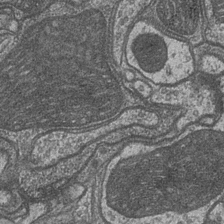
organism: Drosophila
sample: Optic medulla